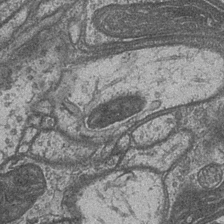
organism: Drosophila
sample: Optic medulla